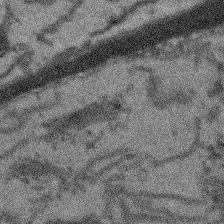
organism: Arabidopsis thaliana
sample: Root tip